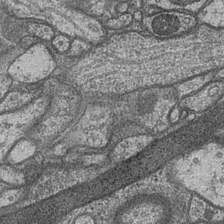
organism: Drosophila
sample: Optic medulla